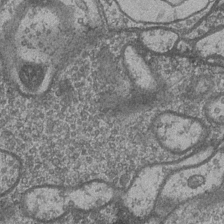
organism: Drosophila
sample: Optic medulla